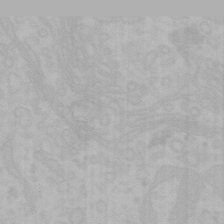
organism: Mouse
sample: Choroid plexus